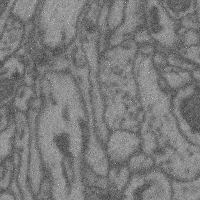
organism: Mouse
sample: Cerebral cortex